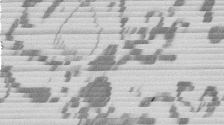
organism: Mouse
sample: Dividing mouse embryo 1 cell stage